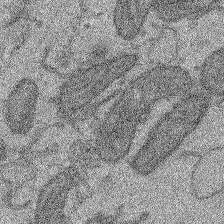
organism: Human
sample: HeLa cells